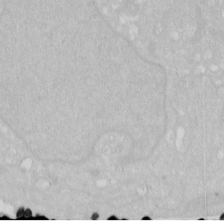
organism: Human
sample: HIV infected U937 cells